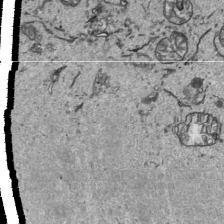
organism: Human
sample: Mitochondria in HCT116 cells